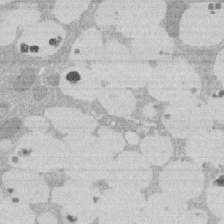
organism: Rat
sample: Salivary granule